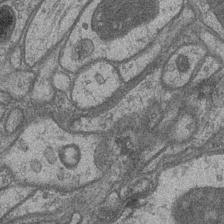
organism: Drosophila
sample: Optic medulla